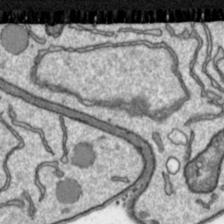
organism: Toxoplasma gondii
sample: Parasites in a vacuole inside a host cell